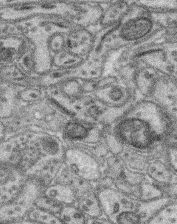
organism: Mouse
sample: Retina